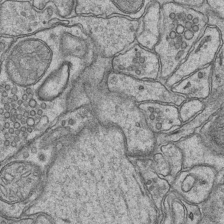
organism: Mouse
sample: CA1 Hippocampus